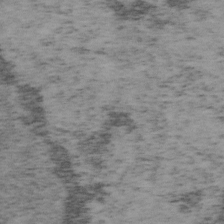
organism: Mouse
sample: OT-I killer T cells with ID8 ovarian cancer cells